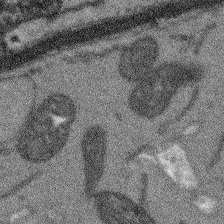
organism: Arabidopsis thaliana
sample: Root tip